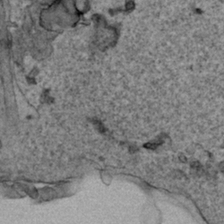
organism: Human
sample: Mitochondria in HCT116 cells